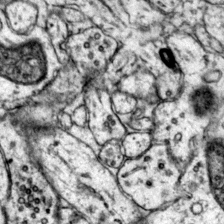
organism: Mouse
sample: Primary visual cortex